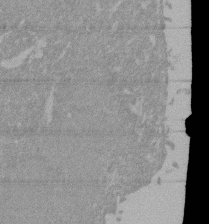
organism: Mouse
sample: ED-1 cell nuclei; centrioles